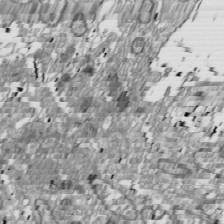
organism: Drosophila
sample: Cell division; meiosis; drosophila spermatocytes